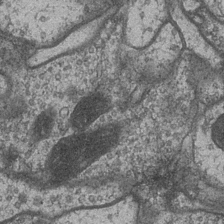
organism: Drosophila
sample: Optic medulla